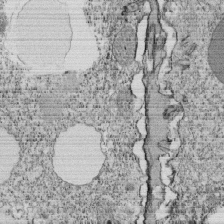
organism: Tetrahymena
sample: Cilia in tetrahymena